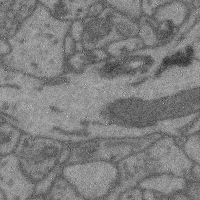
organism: Mouse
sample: Cerebral cortex